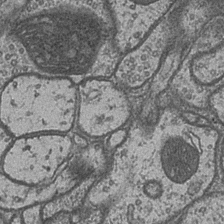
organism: Drosophila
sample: Optic medulla